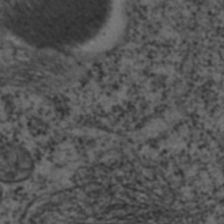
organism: C. elegans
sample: C. elegans embryo